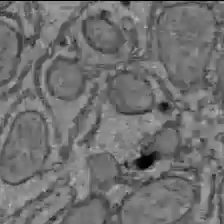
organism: C57BL Mouse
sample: Liver